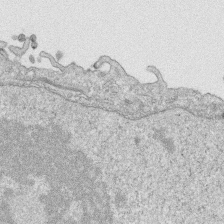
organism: Human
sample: HeLa cell HIV synapse